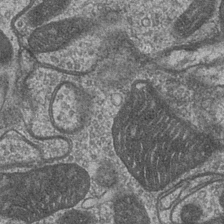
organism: Drosophila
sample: Optic medulla